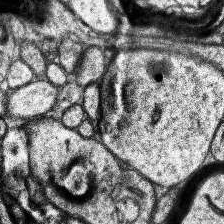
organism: Human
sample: Temporal Lobe